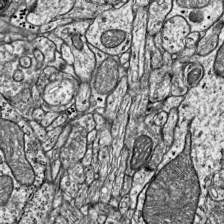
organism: Mouse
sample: Visual Cortex